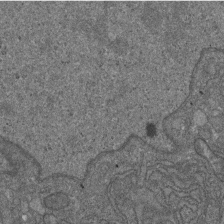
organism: Drosophila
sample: Nephrocyte